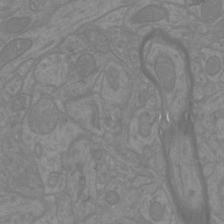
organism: Mouse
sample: Cortical neurons